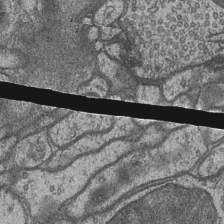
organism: Drosophila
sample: Optic medulla